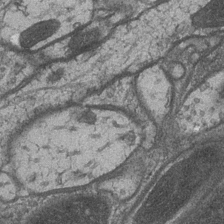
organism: Drosophila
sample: Optic medulla